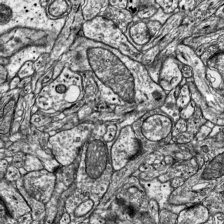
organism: Mouse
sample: Visual Cortex